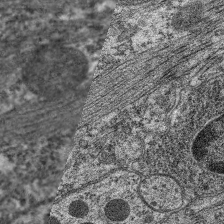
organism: C. elegans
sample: Pharynx